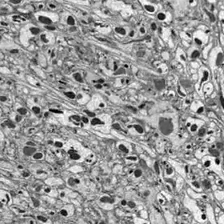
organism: Drosophila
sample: Optic lobe